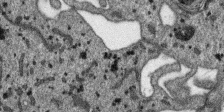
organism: Human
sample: Lung epithelial cells infected with SARS-CoV-2